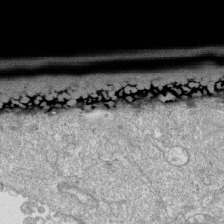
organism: Human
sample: HeLa cell HIV synapse